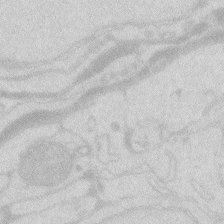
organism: Zebrafish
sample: Macrophage